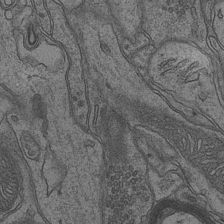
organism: Mouse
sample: CA1 Hippocampus